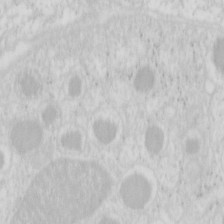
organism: Mouse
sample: Pancreas